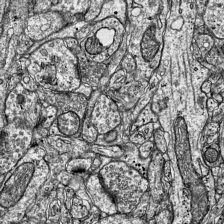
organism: Mouse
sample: Visual Cortex